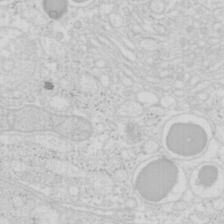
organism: Mouse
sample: Pancreas